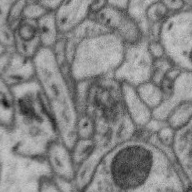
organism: Zebra finch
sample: Brain